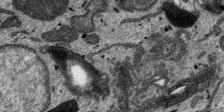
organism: Human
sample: Lung epithelial cells, uninfected (mock) control